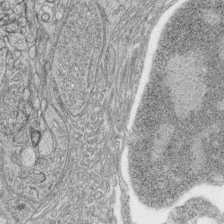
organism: Zebrafish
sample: synaptic ribbons in rod cells and cone cells